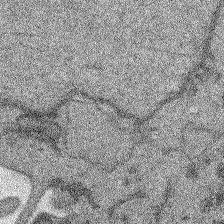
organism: Human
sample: HeLa cells